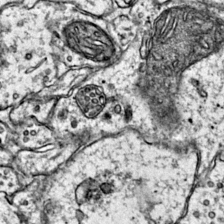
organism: Mouse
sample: Primary visual cortex